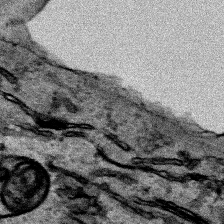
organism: Human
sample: Mitochondria in HCT116 cells